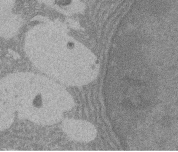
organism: Rat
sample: Salivary granule